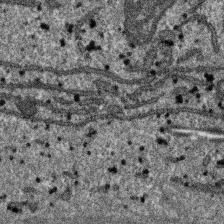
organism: Human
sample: Lung epithelial cells infected with SARS-CoV-2